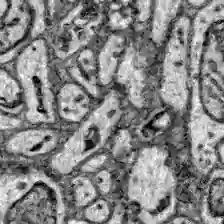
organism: Zebrafish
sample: Brain